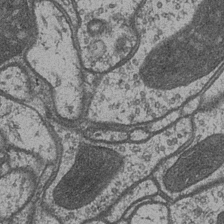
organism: Drosophila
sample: Optic medulla